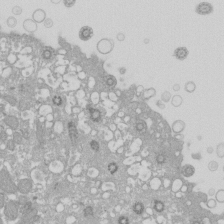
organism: Xenopus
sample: Cilia; centrioles in frog embryo cells